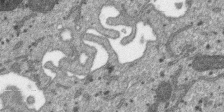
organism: Human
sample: Lung epithelial cells infected with SARS-CoV-2